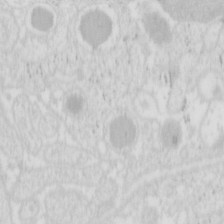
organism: Mouse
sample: Pancreas